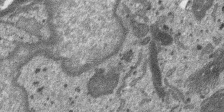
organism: Human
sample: Lung epithelial cells infected with SARS-CoV-2